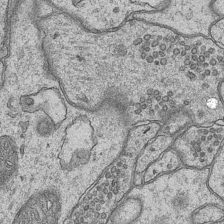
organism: Mouse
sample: CA1 Hippocampus